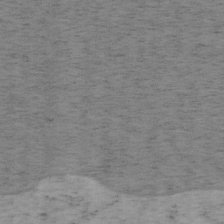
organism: Mouse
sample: OT-I killer T cells with ID8 ovarian cancer cells